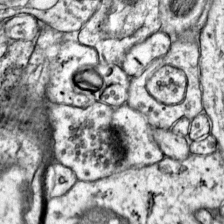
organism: Mouse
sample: Primary visual cortex